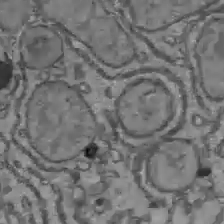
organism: C57BL Mouse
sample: Liver